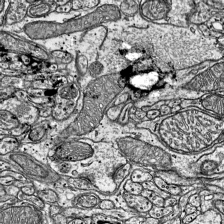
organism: Mouse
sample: Visual Cortex